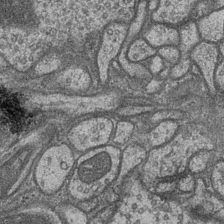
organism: Drosophila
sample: Optic medulla